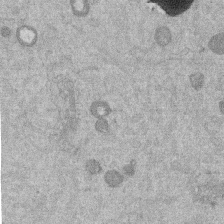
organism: Mouse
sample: Dividing mouse embryo 1 cell stage